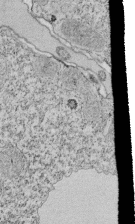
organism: Tetrahymena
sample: Cilia in tetrahymena